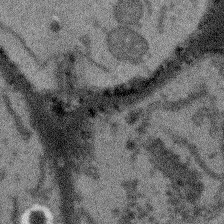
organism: Arabidopsis thaliana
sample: Root tip